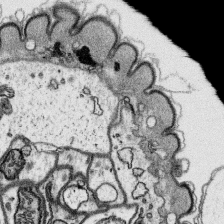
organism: Platynereis dumerilii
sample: Parapodia